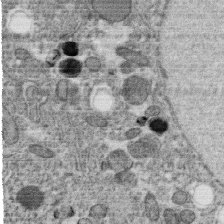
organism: C. elegans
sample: C. elegans oocyte; sperm cells